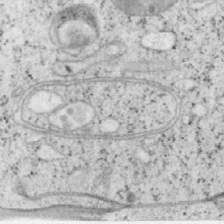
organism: Mouse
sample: OT-I killer T cells with ID8 ovarian cancer cells